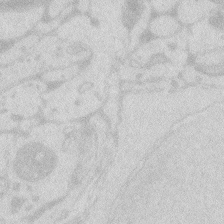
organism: Zebrafish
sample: Macrophage